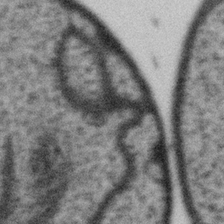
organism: Gemmata obscuriglobus